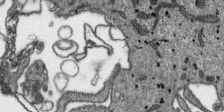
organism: Human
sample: Lung epithelial cells, uninfected (mock) control